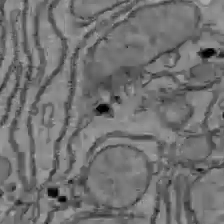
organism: C57BL Mouse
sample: Liver